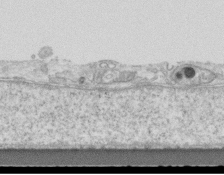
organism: Mouse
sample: Centriole in ependymal cells